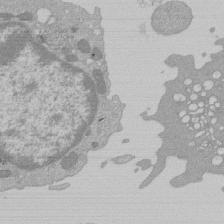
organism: Mouse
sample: Activated Pmel transgenic CD8+ T Cells